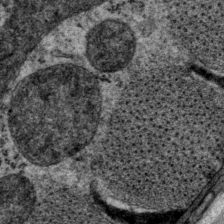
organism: P. pacificus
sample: Pharynx